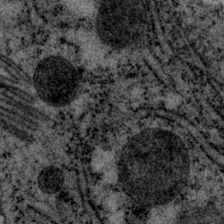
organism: P. pacificus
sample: Pharynx